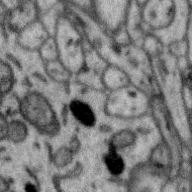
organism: Zebra finch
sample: Brain